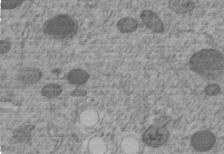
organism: C. elegans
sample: C. elegans embryo early stage